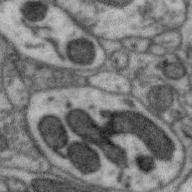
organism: Zebra finch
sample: Brain